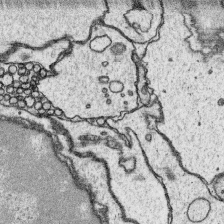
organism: Platynereis dumerilii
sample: Parapodia